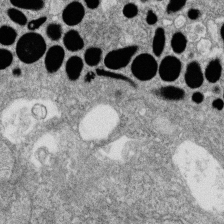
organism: Zebrafish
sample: Cilia; retinal pigment epithelium